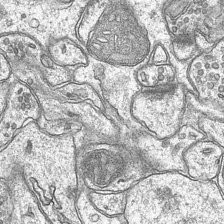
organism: Mouse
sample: CA1 Hippocampus